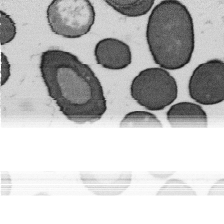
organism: B. subtilis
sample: Bacterial spore